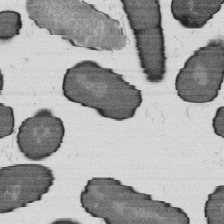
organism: B. subtilis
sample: Bacterial spore